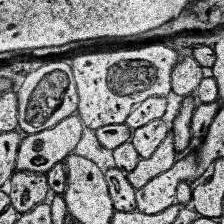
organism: Human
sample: Temporal Lobe